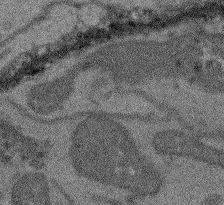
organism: Arabidopsis thaliana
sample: Root tip